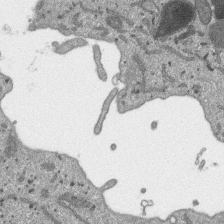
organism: Human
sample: Lung epithelial cells infected with SARS-CoV-2